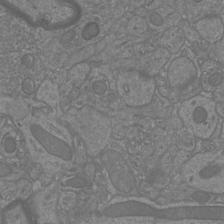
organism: Mouse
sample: Cortical neurons